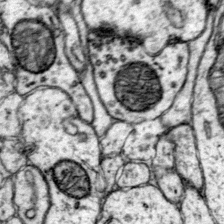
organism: Mouse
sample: Primary visual cortex